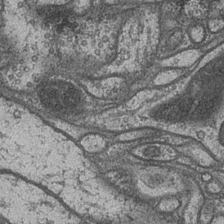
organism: Drosophila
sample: Optic medulla